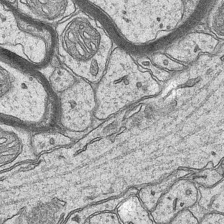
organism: Mouse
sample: CA1 Hippocampus